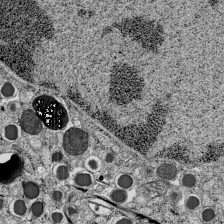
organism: C57BL Mouse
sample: Pancreatic islet